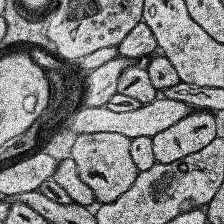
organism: Human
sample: Temporal Lobe